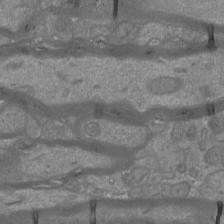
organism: Mouse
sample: Cortical neurons